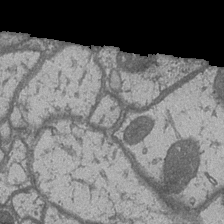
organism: Drosophila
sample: Optic medulla